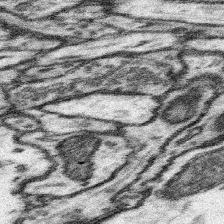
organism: Mouse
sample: Somatosensory cortex neuropil